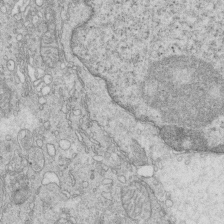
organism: Mouse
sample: Multiciliated cells